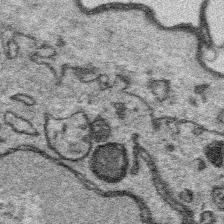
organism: Platynereis dumerilii